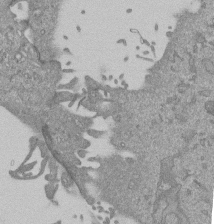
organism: Mouse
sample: ED-1 cell nuclei; centrioles